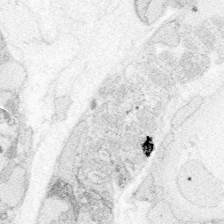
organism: Zebrafish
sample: Whole-Brain